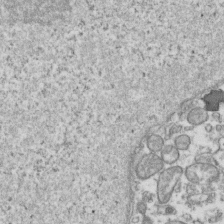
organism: Human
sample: Activated Jurkat CD4+ T cells